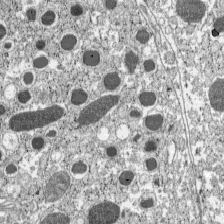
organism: C57BL Mouse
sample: Pancreatic islet